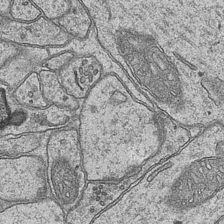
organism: Mouse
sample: CA1 Hippocampus